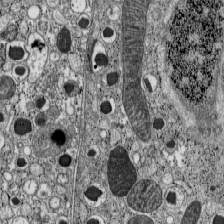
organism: C57BL Mouse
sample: Pancreatic islet